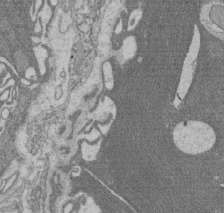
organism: Rat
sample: Salivary granule